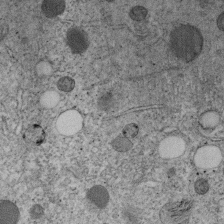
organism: C. elegans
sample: C. elegans embryo early stage